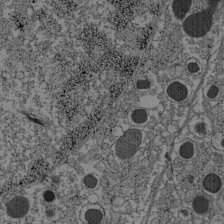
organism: C57BL Mouse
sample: Pancreatic islet